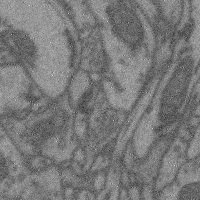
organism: Mouse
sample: Cerebral cortex